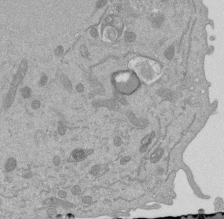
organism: Mouse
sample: ED-1 cell nuclei; centrioles